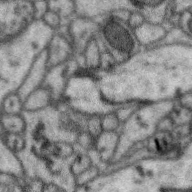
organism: Zebra finch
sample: Brain